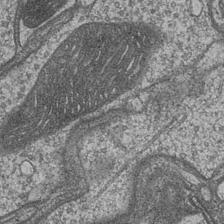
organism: Drosophila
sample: Optic medulla